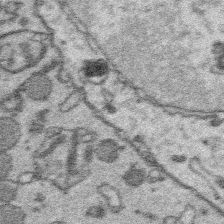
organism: Platynereis dumerilii